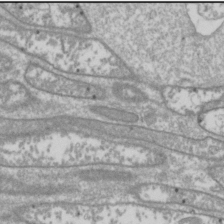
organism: Drosophila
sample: Cell division; meiosis; drosophila spermatocytes